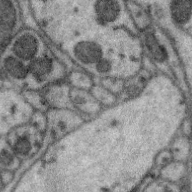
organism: Zebra finch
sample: Brain